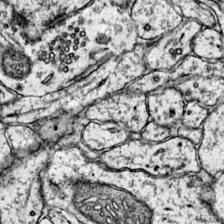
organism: Mouse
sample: Primary visual cortex